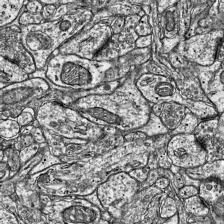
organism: Mouse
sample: Visual Cortex